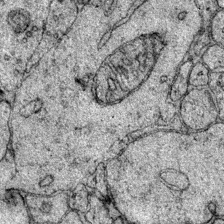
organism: Mouse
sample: Primary visual cortex